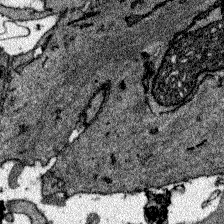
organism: Zebrafish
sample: Larval olfactory bulb